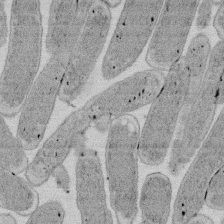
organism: E. coli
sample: Bacterial nucleoid